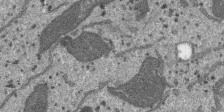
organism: Human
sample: Lung epithelial cells infected with SARS-CoV-2